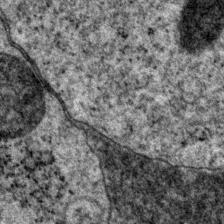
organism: P. pacificus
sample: Pharynx